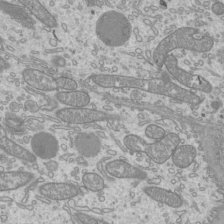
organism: Mouse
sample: Cilia; mouse epididymis